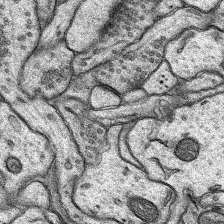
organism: Rat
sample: Hippocampus